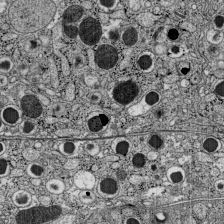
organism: C57BL Mouse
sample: Pancreatic islet